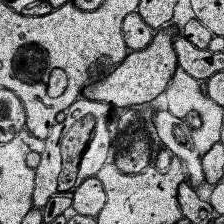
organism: Human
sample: Temporal Lobe